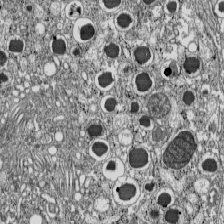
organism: C57BL Mouse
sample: Pancreatic islet